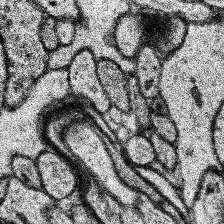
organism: Human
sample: Temporal Lobe